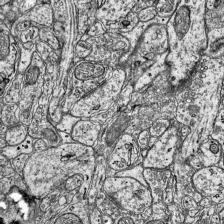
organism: Mouse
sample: Visual Cortex